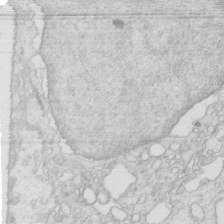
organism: Mouse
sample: Multiciliated cells